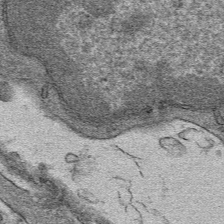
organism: Mouse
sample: Mouse hepatocytes